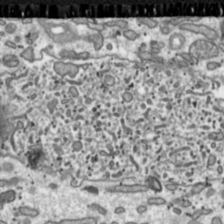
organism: Toxoplasma gondii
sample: Parasites in a vacuole inside a host cell